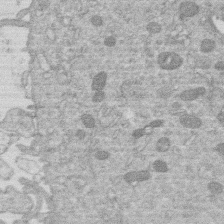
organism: Human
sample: Macrophage cells